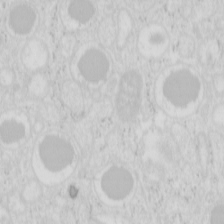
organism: Mouse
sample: Pancreas